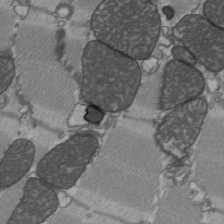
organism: C57BL Mouse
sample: Heart